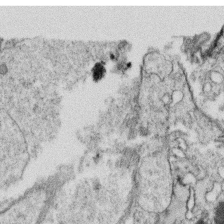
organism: C. elegans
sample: C. elegans oocyte; sperm cells